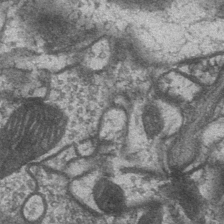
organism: Drosophila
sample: Optic medulla